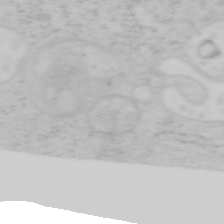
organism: Mouse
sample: OT-I killer T cells with ID8 ovarian cancer cells